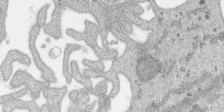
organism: Human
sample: Lung epithelial cells infected with SARS-CoV-2